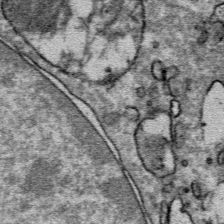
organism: Mouse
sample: Mouse Salivary gland